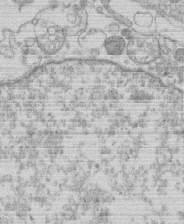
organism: Human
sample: Macrophage cells